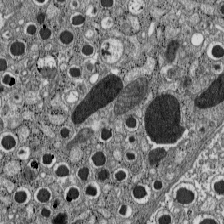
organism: C57BL Mouse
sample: Pancreatic islet